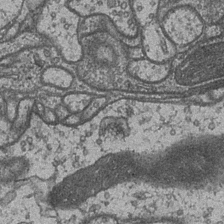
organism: Drosophila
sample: Optic medulla